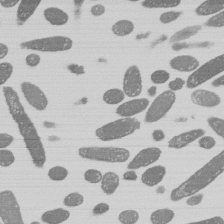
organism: E. coli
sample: Bacterial nucleoid